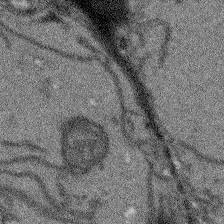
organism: Arabidopsis thaliana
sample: Root tip